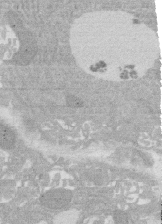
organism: Rat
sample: Salivary granule